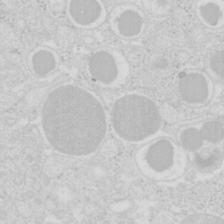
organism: Mouse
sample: Pancreas